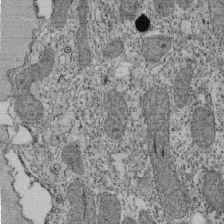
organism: Tetrahymena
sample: Cilia in tetrahymena